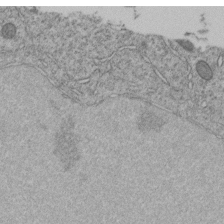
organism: C. elegans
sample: C. elegans embryo early stage